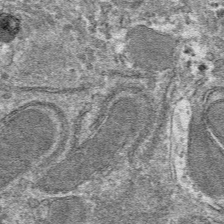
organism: Mouse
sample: Mouse hepatocytes